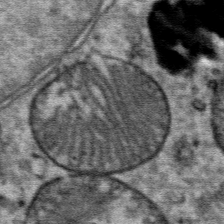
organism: Mouse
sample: Mouse Salivary gland